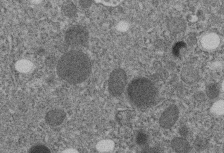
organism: C. elegans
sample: C. elegans embryo early stage